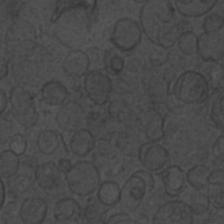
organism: C. elegans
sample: C. elegans embryo